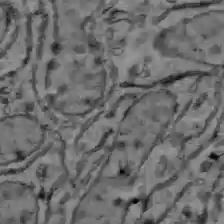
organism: C57BL Mouse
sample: Liver